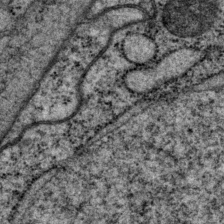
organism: P. pacificus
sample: Pharynx